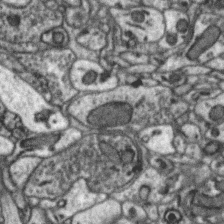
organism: Zebra finch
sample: Brain